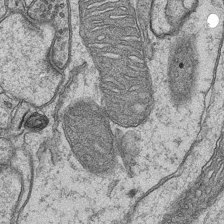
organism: Mouse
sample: CA1 Hippocampus